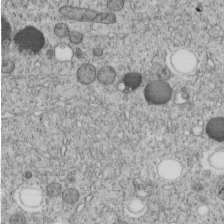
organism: C. elegans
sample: C. elegans embryo early stage